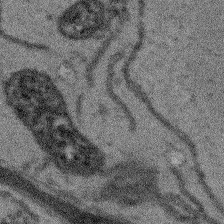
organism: Arabidopsis thaliana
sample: Root tip